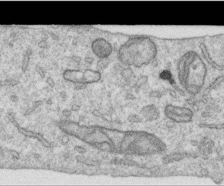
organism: Human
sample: Centriole in RPE cells